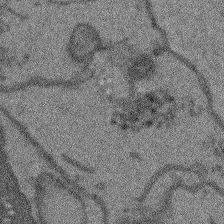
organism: Arabidopsis thaliana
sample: Root tip